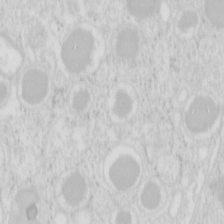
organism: Mouse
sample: Pancreas